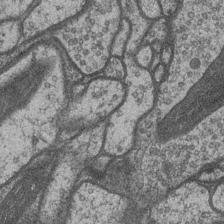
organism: Drosophila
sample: Optic medulla